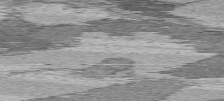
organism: C57BL Mouse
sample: Heart